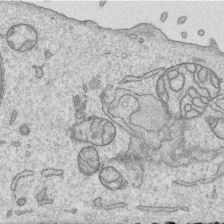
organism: Human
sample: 1205lu cells